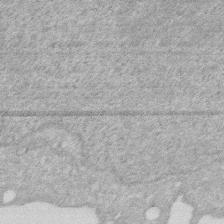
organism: Human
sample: HIV infected U937 cells